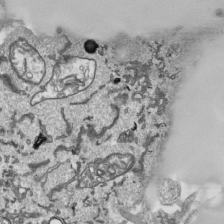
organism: Human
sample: Mitochondria in HCT116 cells